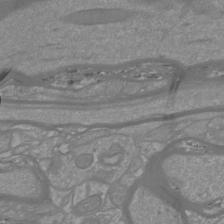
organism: Mouse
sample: Cortical neurons